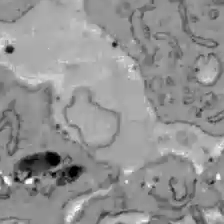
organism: C57BL Mouse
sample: Liver